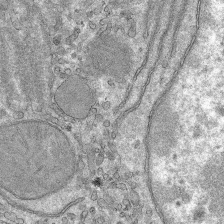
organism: Mouse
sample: Mouse hepatocytes